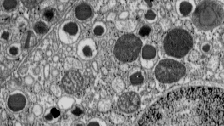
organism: C57BL Mouse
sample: Pancreatic islet